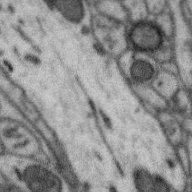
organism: Zebra finch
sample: Brain